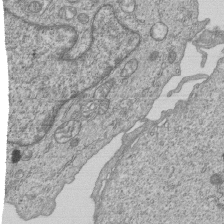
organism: Human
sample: MDA-MB-231 cells